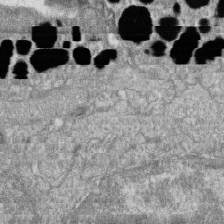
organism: Zebrafish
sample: Cilia; retinal pigment epithelium